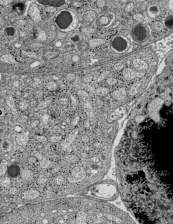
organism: C57BL Mouse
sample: Pancreatic islet